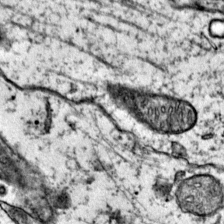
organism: Mouse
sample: Primary visual cortex